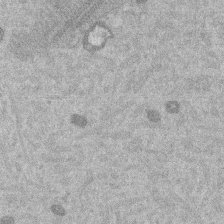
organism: Mouse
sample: Dividing mouse embryo 1 cell stage